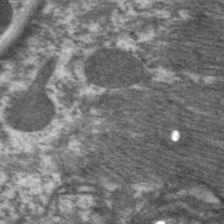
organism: C. elegans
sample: Pharynx